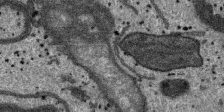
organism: Human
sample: Lung epithelial cells, uninfected (mock) control